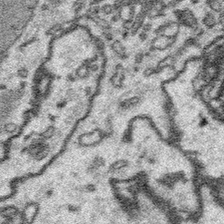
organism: Platynereis dumerilii